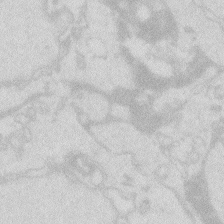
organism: Zebrafish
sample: Macrophage